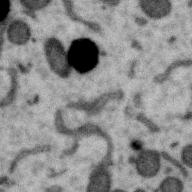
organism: Zebra finch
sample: Brain